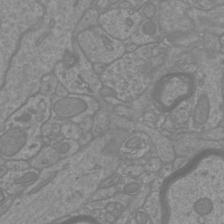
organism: Mouse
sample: Cortical neurons